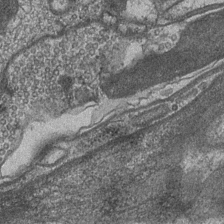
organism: Drosophila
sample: Optic medulla